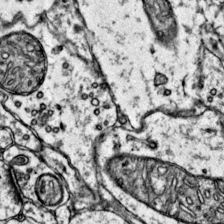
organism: Mouse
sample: Primary visual cortex